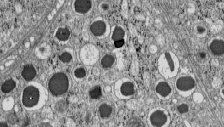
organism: C57BL Mouse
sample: Pancreatic islet